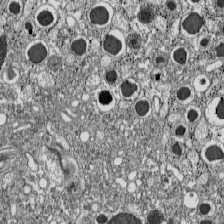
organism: C57BL Mouse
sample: Pancreatic islet